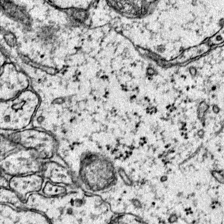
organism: Mouse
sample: Primary visual cortex